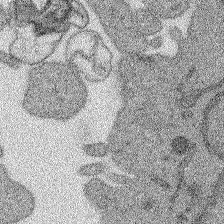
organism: Human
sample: HeLa cells